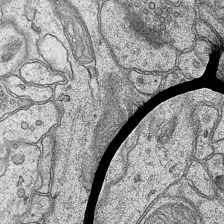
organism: Mouse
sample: CA1 Hippocampus